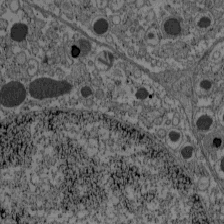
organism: C57BL Mouse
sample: Pancreatic islet